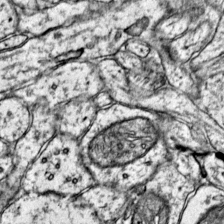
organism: Mouse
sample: Primary visual cortex